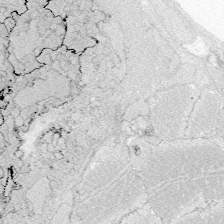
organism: Zebrafish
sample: Whole-Brain